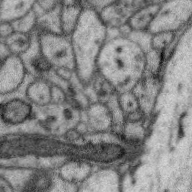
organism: Zebra finch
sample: Brain